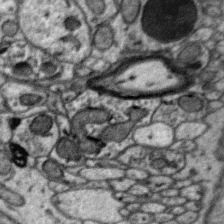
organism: Zebra finch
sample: Brain